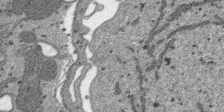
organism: Human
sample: Lung epithelial cells infected with SARS-CoV-2